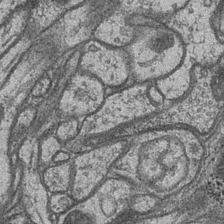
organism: Drosophila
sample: Optic medulla